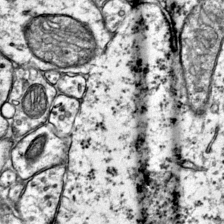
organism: Mouse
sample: Primary visual cortex